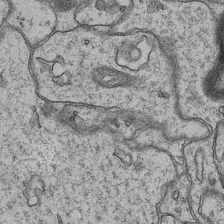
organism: Mouse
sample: CA1 Hippocampus